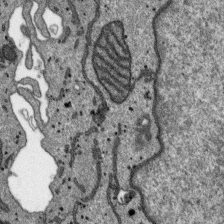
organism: Human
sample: Lung epithelial cells, uninfected (mock) control